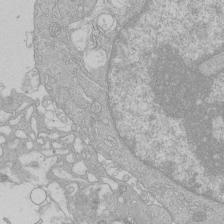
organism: Human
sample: Macrophage cells